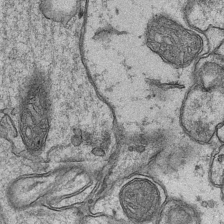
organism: Mouse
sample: CA1 Hippocampus